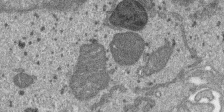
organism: Human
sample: Lung epithelial cells infected with SARS-CoV-2